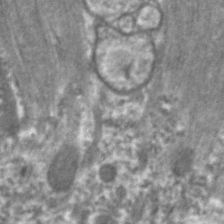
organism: C. elegans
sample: Pharynx